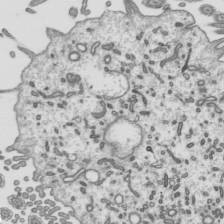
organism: Mouse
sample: Mouse epididymis efferent ductule cilia